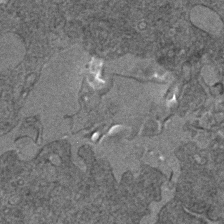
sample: Trachea